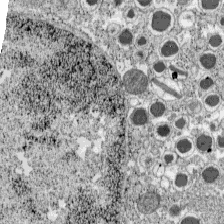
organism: C57BL Mouse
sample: Pancreatic islet